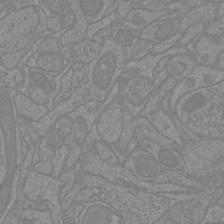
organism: Mouse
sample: Cortical neurons